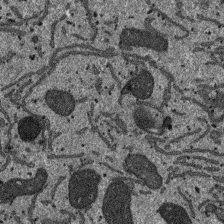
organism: Human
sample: Lung epithelial cells infected with SARS-CoV-2